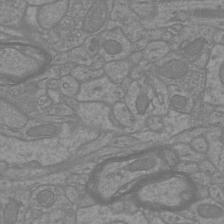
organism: Mouse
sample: Cortical neurons